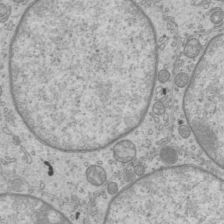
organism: Mouse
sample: Cilia; mouse epididymis